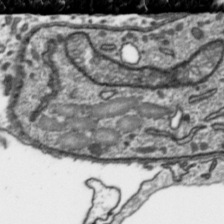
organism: Toxoplasma gondii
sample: Parasites in a vacuole inside a host cell